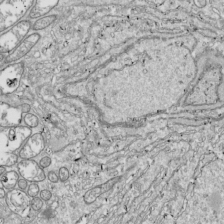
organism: Drosophila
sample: Cell division; meiosis; drosophila spermatocytes